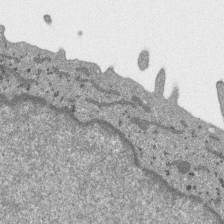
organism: Human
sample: Lung epithelial cells infected with SARS-CoV-2